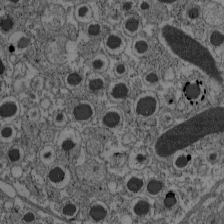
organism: C57BL Mouse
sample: Pancreatic islet